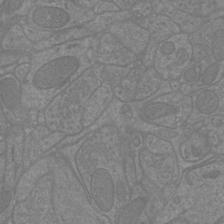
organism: Mouse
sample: Cortical neurons